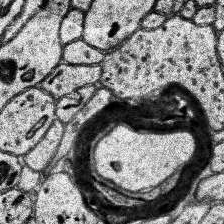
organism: Human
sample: Temporal Lobe